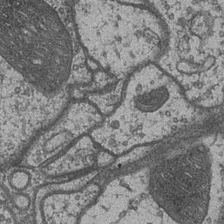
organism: Drosophila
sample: Optic medulla